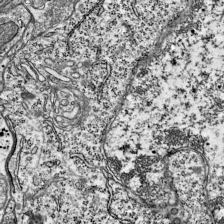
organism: Mouse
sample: Visual Cortex